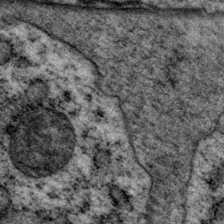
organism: P. pacificus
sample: Pharynx